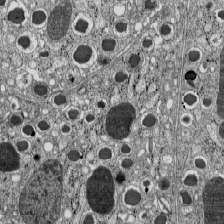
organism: C57BL Mouse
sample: Pancreatic islet